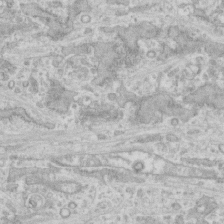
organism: Human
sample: CRL-1474